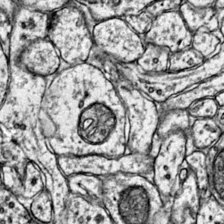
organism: Mouse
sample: Primary visual cortex